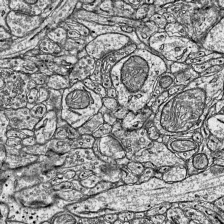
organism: Mouse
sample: Visual Cortex